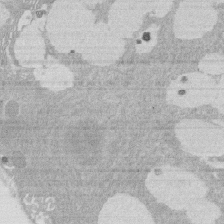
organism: Rat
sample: Salivary granule